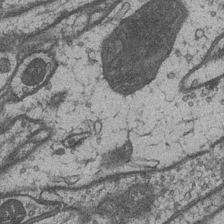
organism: Drosophila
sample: Optic medulla